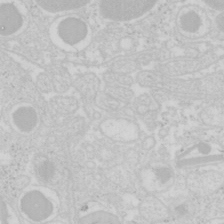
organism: Mouse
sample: Pancreas